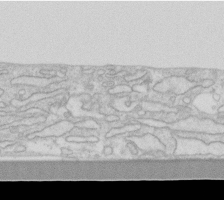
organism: Human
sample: Fibroblast cells